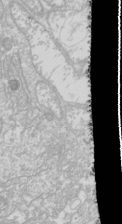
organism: Drosophila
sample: Cell division; meiosis; drosophila spermatocytes